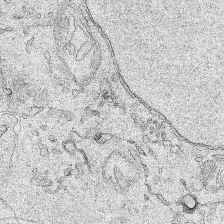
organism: Human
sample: Mitochondria in HCT116 cells